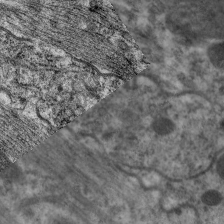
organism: C. elegans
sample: Pharynx